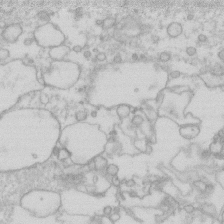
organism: Human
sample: Fibroblast cells